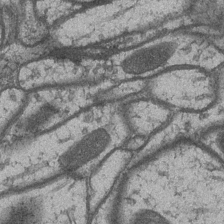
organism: Drosophila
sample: Optic medulla